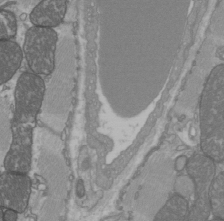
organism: C57BL Mouse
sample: Heart